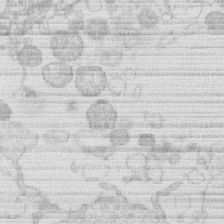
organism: Human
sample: Macrophage cells